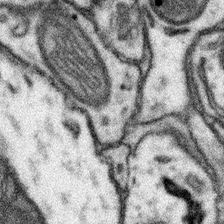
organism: Mouse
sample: Somatosensory cortex neuropil